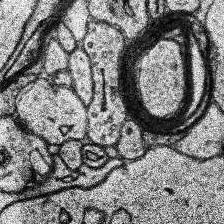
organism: Human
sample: Temporal Lobe